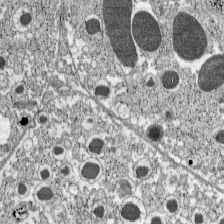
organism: C57BL Mouse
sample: Pancreatic islet